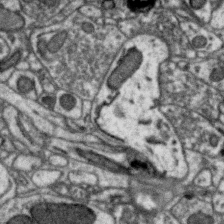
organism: Zebra finch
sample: Brain